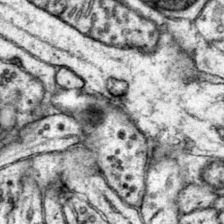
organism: Mouse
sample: Primary visual cortex